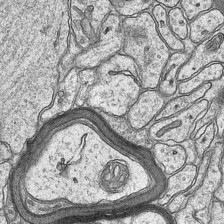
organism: Mouse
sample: CA1 Hippocampus